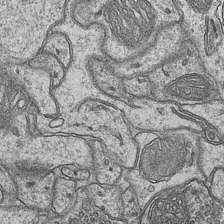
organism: Mouse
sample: CA1 Hippocampus